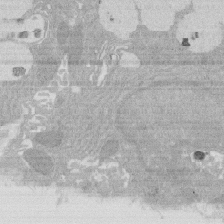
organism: Rat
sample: Salivary granule